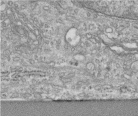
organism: Human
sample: Centriole in RPE cells